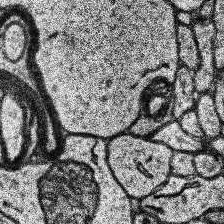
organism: Human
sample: Temporal Lobe